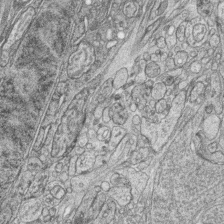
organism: Zebrafish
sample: synaptic ribbons in rod cells and cone cells